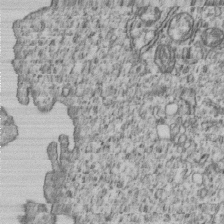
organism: Human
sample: MDA-MB-231 cells